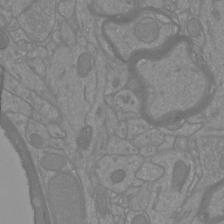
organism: Mouse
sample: Cortical neurons